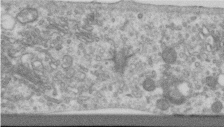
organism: Human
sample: Centriole in RPE cells